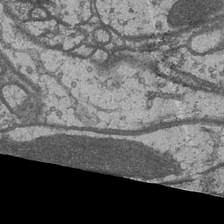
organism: Drosophila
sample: Optic medulla